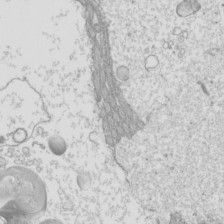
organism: Mouse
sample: Cilia; mouse epididymis